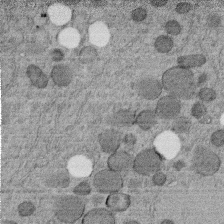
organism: C. elegans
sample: C. elegans embryo early stage